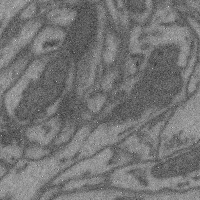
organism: Mouse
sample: Cerebral cortex